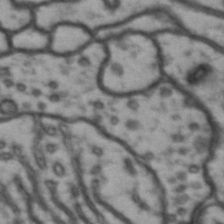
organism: Drosophila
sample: Brain